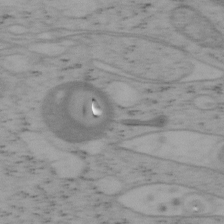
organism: Mouse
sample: OT-I killer T cells with ID8 ovarian cancer cells